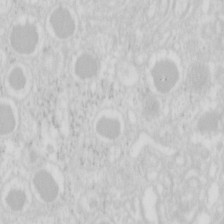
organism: Mouse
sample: Pancreas